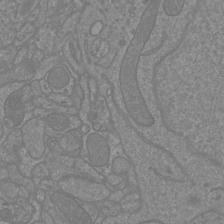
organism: Mouse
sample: Cortical neurons